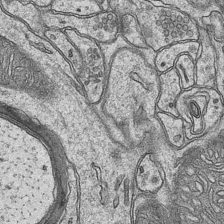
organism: Mouse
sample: CA1 Hippocampus